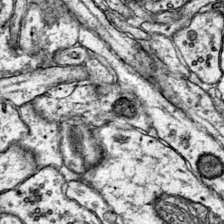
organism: Mouse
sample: Primary visual cortex